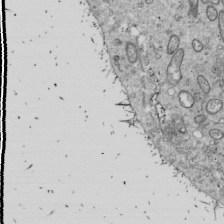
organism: Drosophila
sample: Cell division; meiosis; drosophila spermatocytes